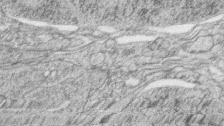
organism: Zebrafish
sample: synaptic ribbons in rod cells and cone cells